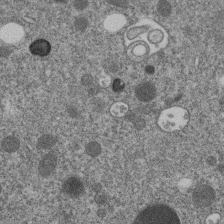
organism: C. elegans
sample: C. elegans embryo early stage